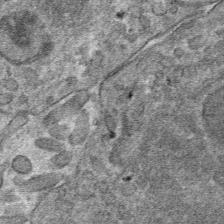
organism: Mouse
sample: Mouse hepatocytes